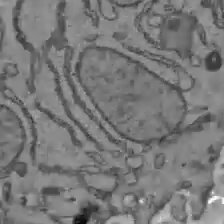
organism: C57BL Mouse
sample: Liver